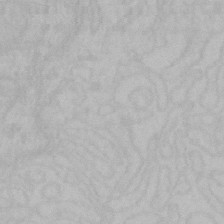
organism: Mouse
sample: Choroid plexus